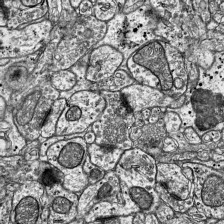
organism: Mouse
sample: Visual Cortex